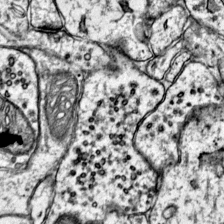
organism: Mouse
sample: Primary visual cortex